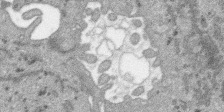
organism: Human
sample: Lung epithelial cells infected with SARS-CoV-2